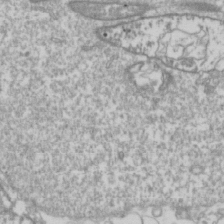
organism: Drosophila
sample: Cell division; meiosis; drosophila spermatocytes